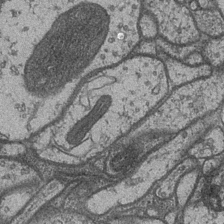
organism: Drosophila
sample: Optic medulla